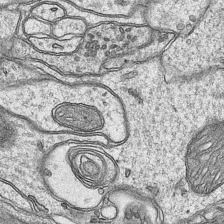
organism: Mouse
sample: CA1 Hippocampus